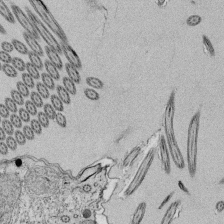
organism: Tetrahymena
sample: Cilia in tetrahymena